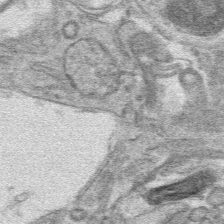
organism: Mouse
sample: Mouse hepatocytes